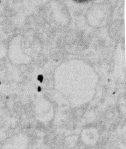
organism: Mouse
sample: T cell stromal cell synapse